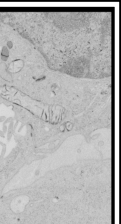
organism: Human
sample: Mitochondria in HCT116 cells